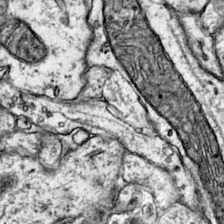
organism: Mouse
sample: Primary visual cortex